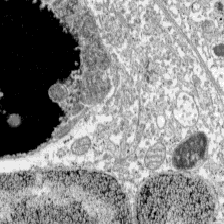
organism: C57BL Mouse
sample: Pancreatic islet